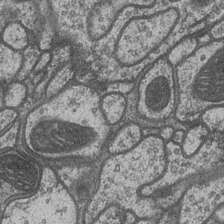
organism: Drosophila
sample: Optic medulla